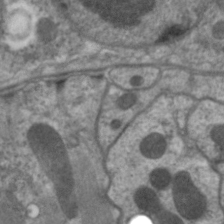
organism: C. elegans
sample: Pharynx